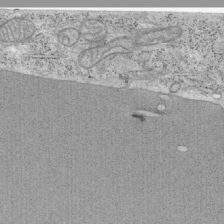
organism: Human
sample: HeLa cells